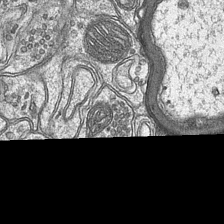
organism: Mouse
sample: CA1 Hippocampus